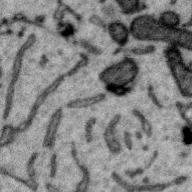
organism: Zebra finch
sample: Brain